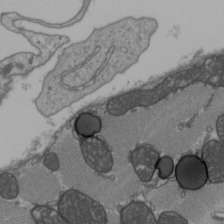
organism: C57BL Mouse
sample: Heart